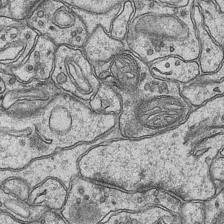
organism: Mouse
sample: CA1 Hippocampus